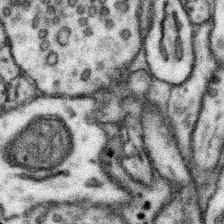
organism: Mouse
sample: Somatosensory cortex neuropil